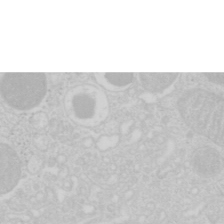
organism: Mouse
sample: Pancreas